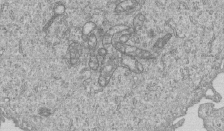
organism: Human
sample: MDA-MB-231 cells